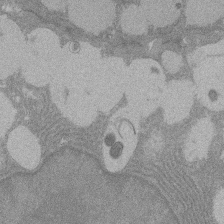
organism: Rat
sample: Salivary granule